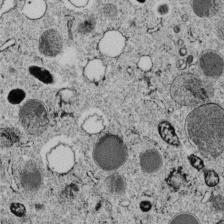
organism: C. elegans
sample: C. elegans embryo early stage